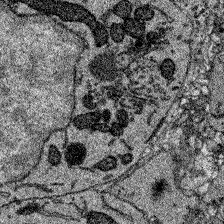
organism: Zebrafish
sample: Larval olfactory bulb